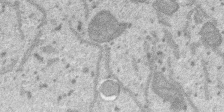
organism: Human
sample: Lung epithelial cells infected with SARS-CoV-2